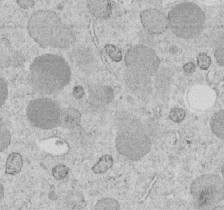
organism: C. elegans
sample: C. elegans embryo early stage